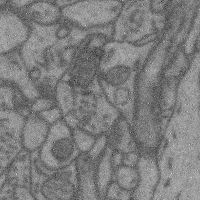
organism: Mouse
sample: Cerebral cortex